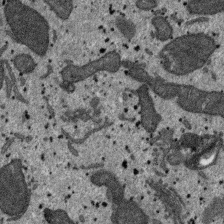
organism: Human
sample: Lung epithelial cells, uninfected (mock) control